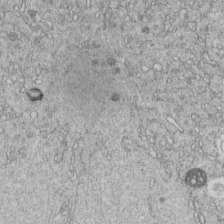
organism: C. elegans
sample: C. elegans embryo early stage